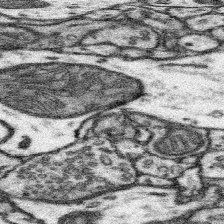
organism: Mouse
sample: Somatosensory cortex neuropil